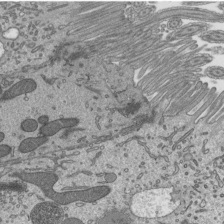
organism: Mouse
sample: Mouse epididymis efferent ductule cilia